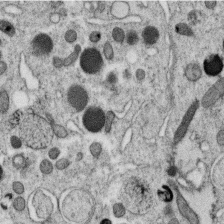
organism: C. elegans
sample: C. elegans oocyte; sperm cells